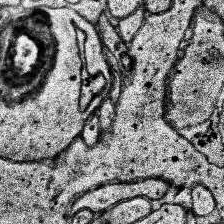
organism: Human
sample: Temporal Lobe